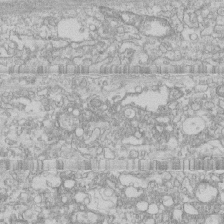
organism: Human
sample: CRL-1474